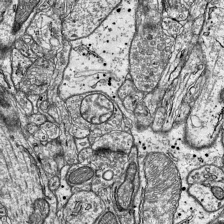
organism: Mouse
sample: Visual Cortex